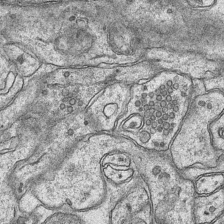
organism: Mouse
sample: CA1 Hippocampus